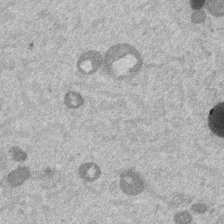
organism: Mouse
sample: Dividing mouse embryo 1 cell stage